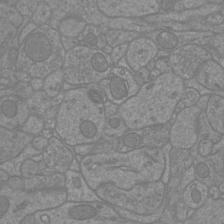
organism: Mouse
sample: Cortical neurons